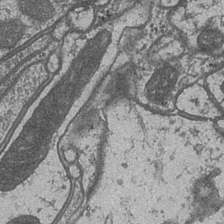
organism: Drosophila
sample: Optic medulla